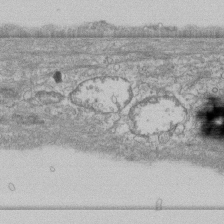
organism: Human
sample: Fibroblast cells